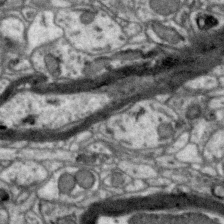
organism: Zebra finch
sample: Brain